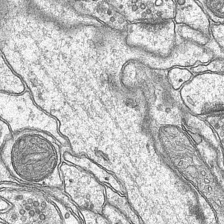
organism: Mouse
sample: CA1 Hippocampus